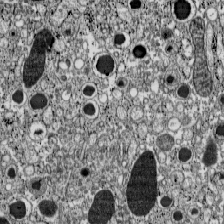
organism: C57BL Mouse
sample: Pancreatic islet